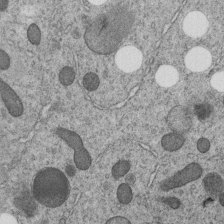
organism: C. elegans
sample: C. elegans embryo early stage